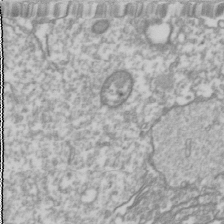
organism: Drosophila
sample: Cell division; meiosis; drosophila spermatocytes